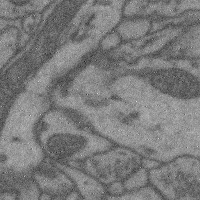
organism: Mouse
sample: Cerebral cortex